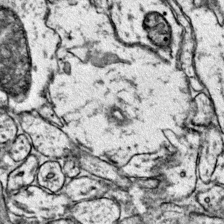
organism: Mouse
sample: Primary visual cortex